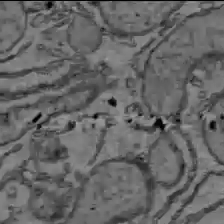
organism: C57BL Mouse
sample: Liver